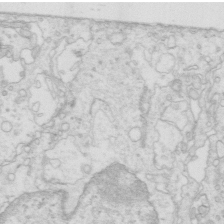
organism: Mouse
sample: Multiciliated cells